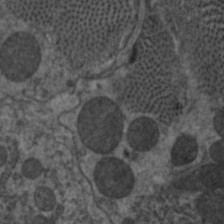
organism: C. elegans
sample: Pharynx